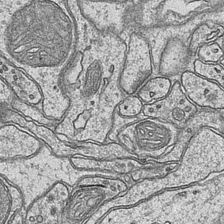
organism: Mouse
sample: CA1 Hippocampus